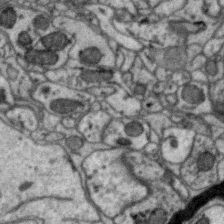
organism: Zebra finch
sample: Brain